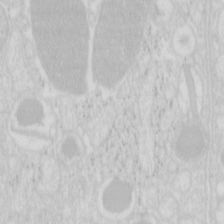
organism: Mouse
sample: Pancreas